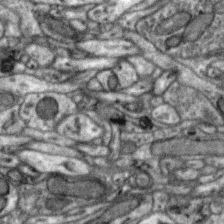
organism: Zebra finch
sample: Brain